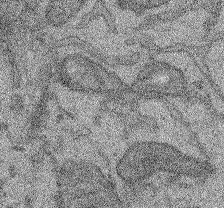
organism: Human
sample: HeLa cells